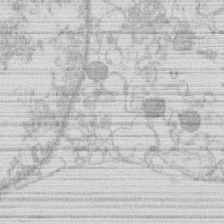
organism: Human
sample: Macrophage cells